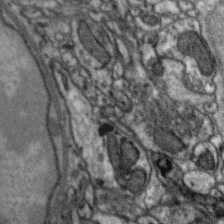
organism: Zebra finch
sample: Brain